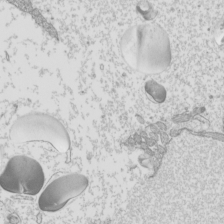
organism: Mouse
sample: Cilia; mouse epididymis